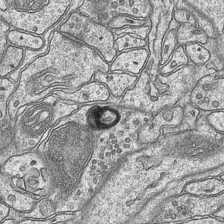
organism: Mouse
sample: CA1 Hippocampus